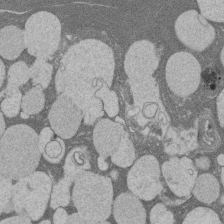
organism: Rat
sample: Salivary granule